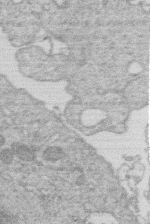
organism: Human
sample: Macrophage cells